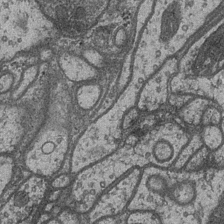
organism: Drosophila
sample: Optic medulla